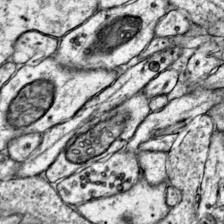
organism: Mouse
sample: Primary visual cortex